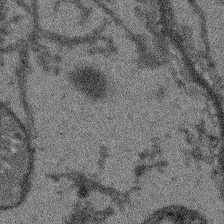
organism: Arabidopsis thaliana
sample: Root tip